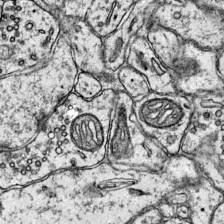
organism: Mouse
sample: Primary visual cortex